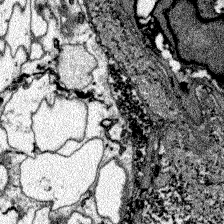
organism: Zebrafish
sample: Larval olfactory bulb